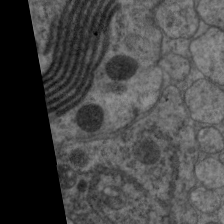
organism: C. elegans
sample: Pharynx